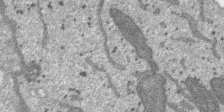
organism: Human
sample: Lung epithelial cells infected with SARS-CoV-2